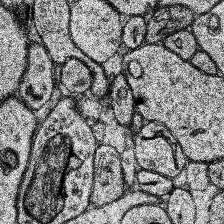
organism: Human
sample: Temporal Lobe